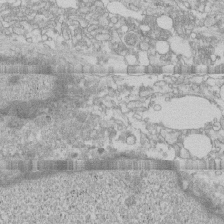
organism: Human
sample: CRL-1474